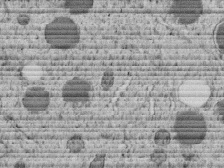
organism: C. elegans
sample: C. elegans embryo early stage